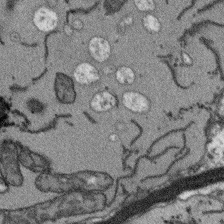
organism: Arabidopsis thaliana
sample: Root tip